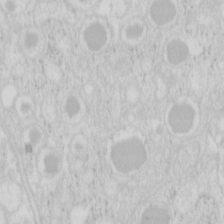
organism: Mouse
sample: Pancreas